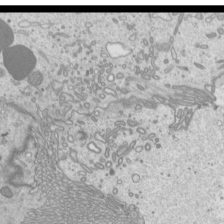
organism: Mouse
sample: Cilia; mouse epididymis